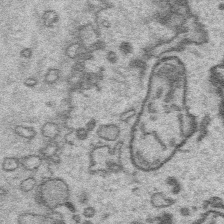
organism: Platynereis dumerilii